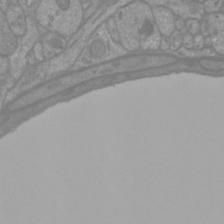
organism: Mouse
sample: Cortical neurons